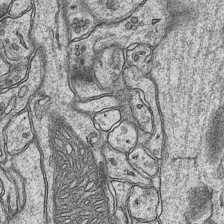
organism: Mouse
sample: CA1 Hippocampus